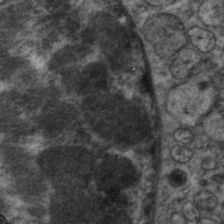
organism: C. elegans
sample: Pharynx